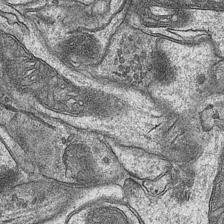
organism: Mouse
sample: CA1 Hippocampus